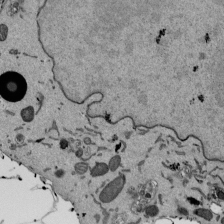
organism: Mouse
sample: ED-1 cell nuclei; centrioles